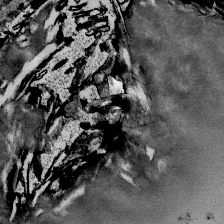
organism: Mouse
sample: Mouse Salivary gland